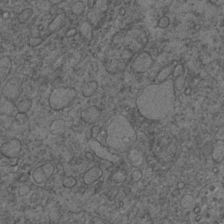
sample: Trachea